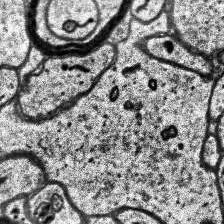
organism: Human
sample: Temporal Lobe